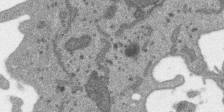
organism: Human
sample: Lung epithelial cells infected with SARS-CoV-2